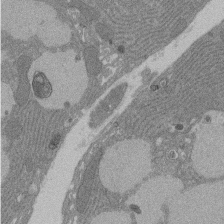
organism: Rat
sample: Salivary granule